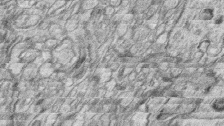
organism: Zebrafish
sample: synaptic ribbons in rod cells and cone cells